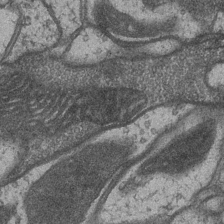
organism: Drosophila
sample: Optic medulla